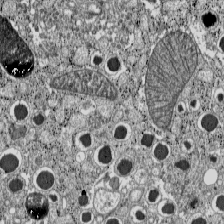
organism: C57BL Mouse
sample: Pancreatic islet